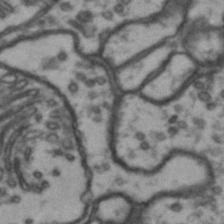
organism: Drosophila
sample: Brain